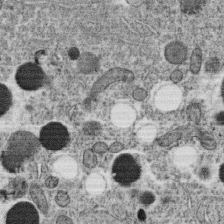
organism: C. elegans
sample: C. elegans oocyte; sperm cells